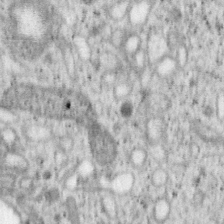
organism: Mouse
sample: OT-I killer T cells with ID8 ovarian cancer cells